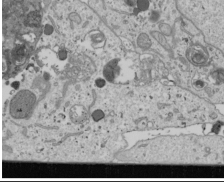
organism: Human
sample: Mitochondria in U2OS cells